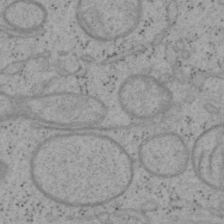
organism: Human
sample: HeLa cells